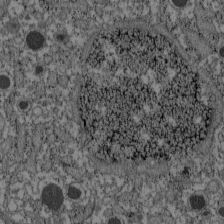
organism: C57BL Mouse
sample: Pancreatic islet